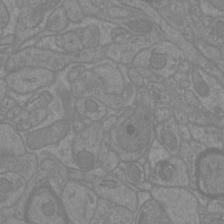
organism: Mouse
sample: Cortical neurons